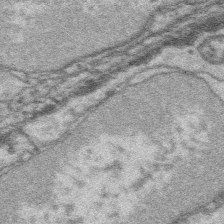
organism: Platynereis dumerilii